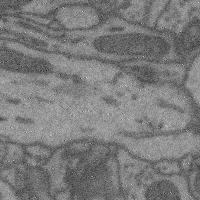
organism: Mouse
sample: Cerebral cortex